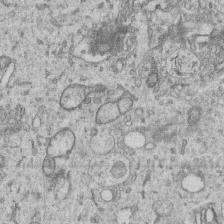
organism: Human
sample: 1205lu cells